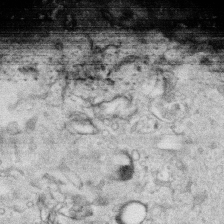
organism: Human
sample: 1205lu cells